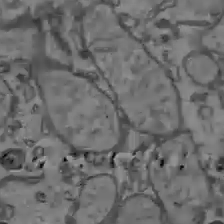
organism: C57BL Mouse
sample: Liver